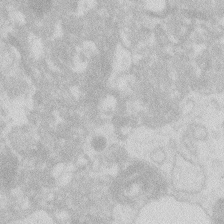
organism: Zebrafish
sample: Macrophage